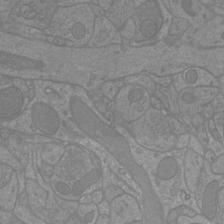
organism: Mouse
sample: Cortical neurons